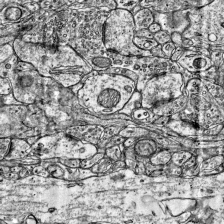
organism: Mouse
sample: Visual Cortex